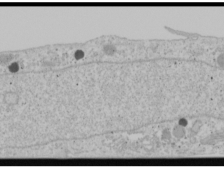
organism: Human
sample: Mitochondria in U2OS cells